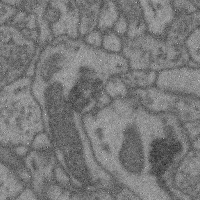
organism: Mouse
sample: Cerebral cortex